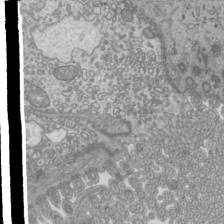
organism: Mouse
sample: Cilia; mouse epididymis